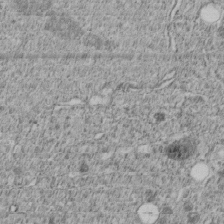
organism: C. elegans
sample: C. elegans embryo early stage